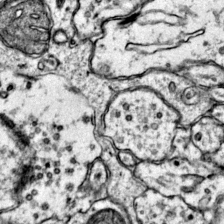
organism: Mouse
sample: Primary visual cortex